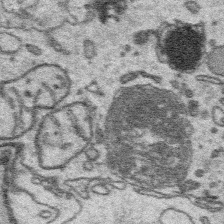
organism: Platynereis dumerilii